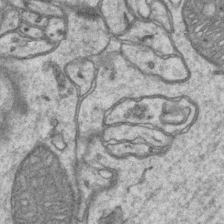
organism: Mouse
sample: CA1 Hippocampus